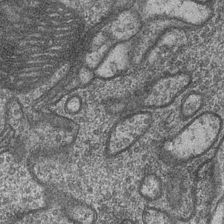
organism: Drosophila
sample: Optic medulla